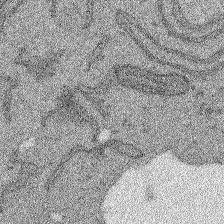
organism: Human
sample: HeLa cells